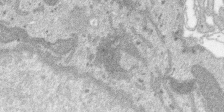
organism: Human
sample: Lung epithelial cells infected with SARS-CoV-2